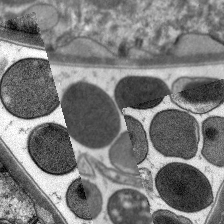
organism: C. elegans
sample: Pharynx